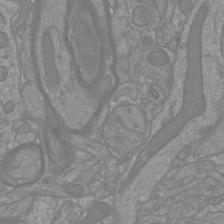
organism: Mouse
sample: Cortical neurons